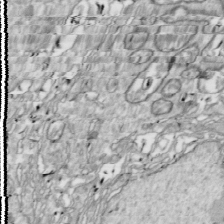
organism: Drosophila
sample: Cell division; meiosis; drosophila spermatocytes